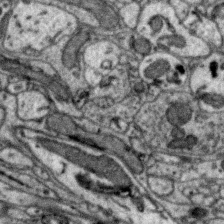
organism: Zebra finch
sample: Brain